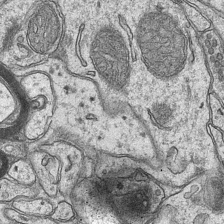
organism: Mouse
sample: CA1 Hippocampus